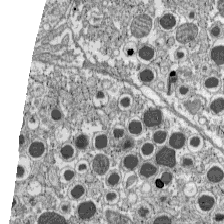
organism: C57BL Mouse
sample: Pancreatic islet